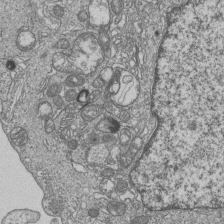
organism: Human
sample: MDA-MB-231 cells